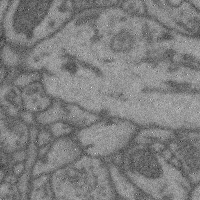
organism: Mouse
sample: Cerebral cortex